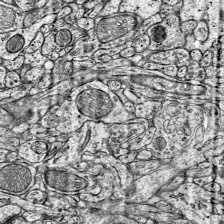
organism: Mouse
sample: Visual Cortex